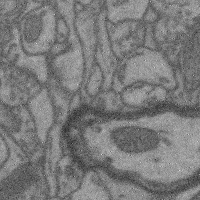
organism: Mouse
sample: Cerebral cortex